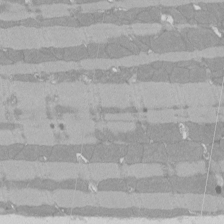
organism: Rat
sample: Left ventricle